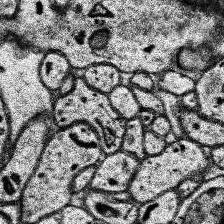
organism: Human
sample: Temporal Lobe